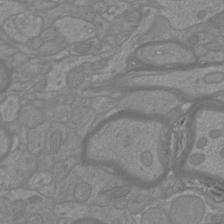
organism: Mouse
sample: Cortical neurons